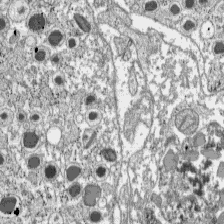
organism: C57BL Mouse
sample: Pancreatic islet